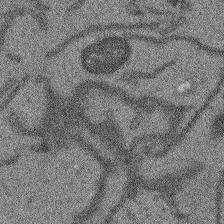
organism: Arabidopsis thaliana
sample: Root tip